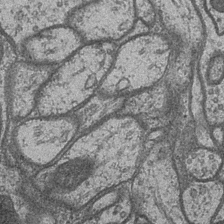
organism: Drosophila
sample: Optic medulla